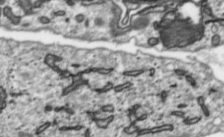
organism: Toxoplasma gondii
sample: Parasites in a vacuole inside a host cell